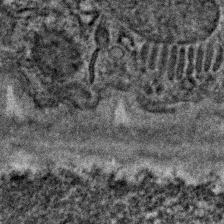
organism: C. elegans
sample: C. elegans embryo